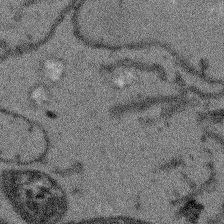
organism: Arabidopsis thaliana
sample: Root tip